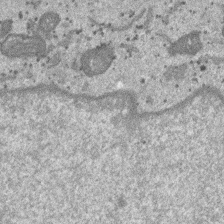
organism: Human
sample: Lung epithelial cells infected with SARS-CoV-2